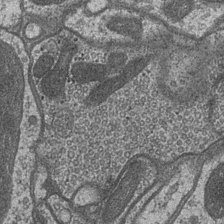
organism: Drosophila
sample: Optic medulla